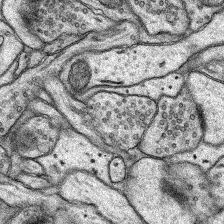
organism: Rat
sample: Hippocampus